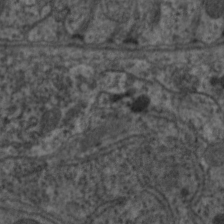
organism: C. elegans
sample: Pharynx